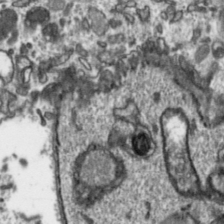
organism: Toxoplasma gondii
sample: Parasites in a vacuole inside a host cell